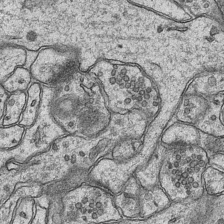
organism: Mouse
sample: CA1 Hippocampus